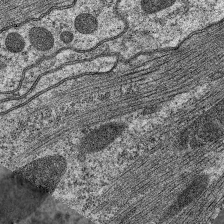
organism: C. elegans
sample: Pharynx